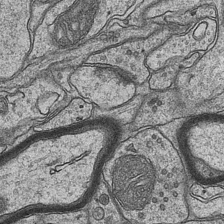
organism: Mouse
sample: CA1 Hippocampus